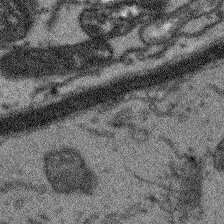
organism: Arabidopsis thaliana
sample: Root tip